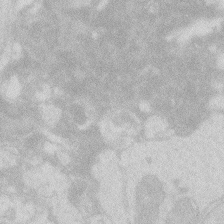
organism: Zebrafish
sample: Macrophage